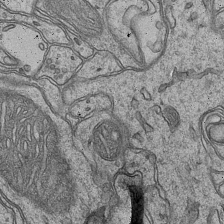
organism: Mouse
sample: CA1 Hippocampus